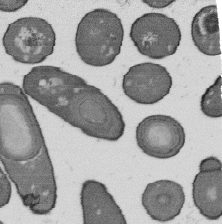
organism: B. subtilis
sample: Bacterial spore